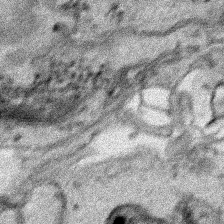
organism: Human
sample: Mitochondria in HCT116 cells